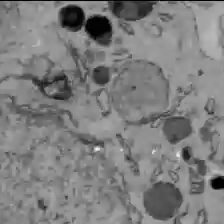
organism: C57BL Mouse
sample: Liver